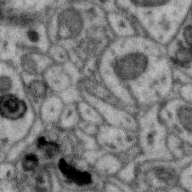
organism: Zebra finch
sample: Brain